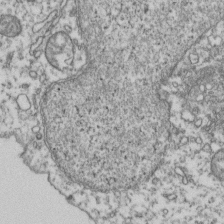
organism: Human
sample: Activated Jurkat CD4+ T cells